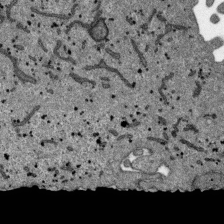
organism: Human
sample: Lung epithelial cells, uninfected (mock) control